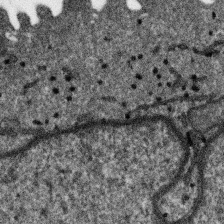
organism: Human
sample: Lung epithelial cells infected with SARS-CoV-2